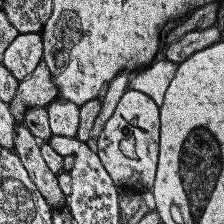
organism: Human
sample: Temporal Lobe